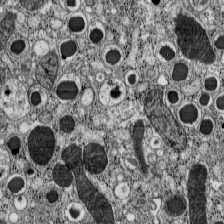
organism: C57BL Mouse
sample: Pancreatic islet